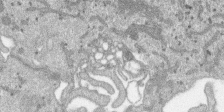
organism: Human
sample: Lung epithelial cells infected with SARS-CoV-2